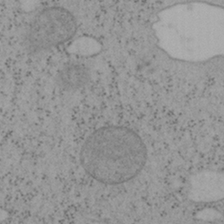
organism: Mouse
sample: OT-I killer T cells with ID8 ovarian cancer cells